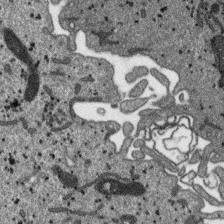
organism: Human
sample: Lung epithelial cells infected with SARS-CoV-2